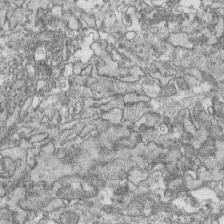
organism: Human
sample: CRL-1474